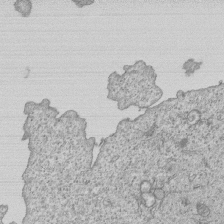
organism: Human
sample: MDA-MB-231 cells